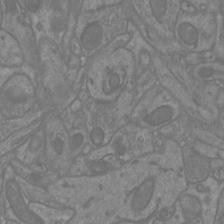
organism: Mouse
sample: Cortical neurons